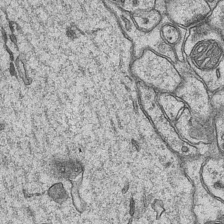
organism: Mouse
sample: CA1 Hippocampus